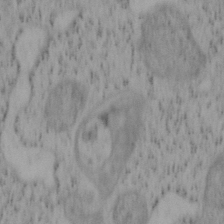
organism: Mouse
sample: OT-I killer T cells with ID8 ovarian cancer cells